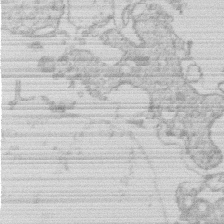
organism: Human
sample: Macrophage cells